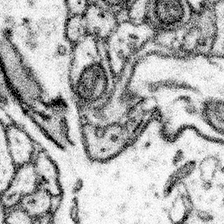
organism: Mouse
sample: Somatosensory cortex neuropil